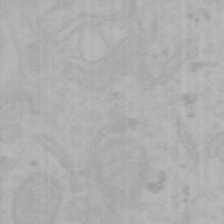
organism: Mouse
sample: Choroid plexus